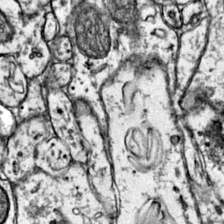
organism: Mouse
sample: Primary visual cortex